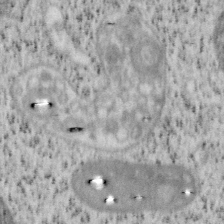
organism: Mouse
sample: OT-I killer T cells with ID8 ovarian cancer cells